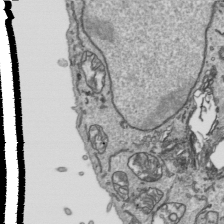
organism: Human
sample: Mitochondria in HCT116 cells